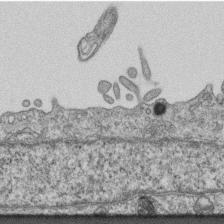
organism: Mouse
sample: Centriole in ependymal cells